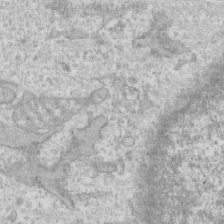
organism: Human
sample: CRL-1474